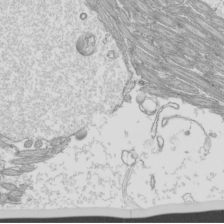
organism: Mouse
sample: Cilia; mouse epididymis